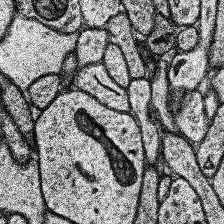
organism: Human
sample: Temporal Lobe